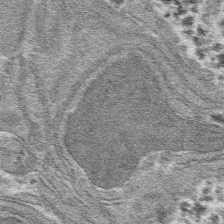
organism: Mouse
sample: Mouse hepatocytes